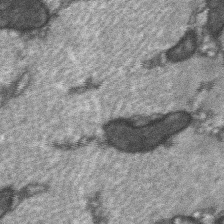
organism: C57BL Mouse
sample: Soleus